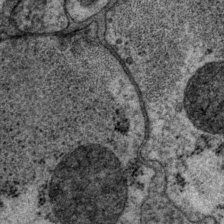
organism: P. pacificus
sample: Pharynx